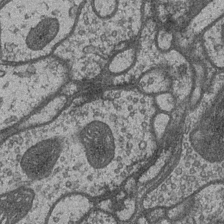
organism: Drosophila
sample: Optic medulla